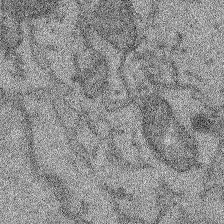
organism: Human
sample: HeLa cells